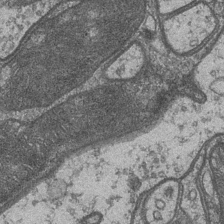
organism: Drosophila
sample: Optic medulla